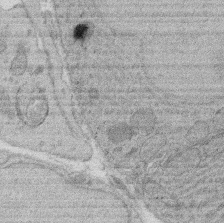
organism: Rat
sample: Salivary granule